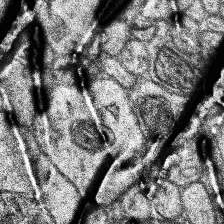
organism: Human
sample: Temporal Lobe